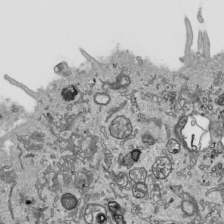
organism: Human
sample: Mitochondria in HCT116 cells